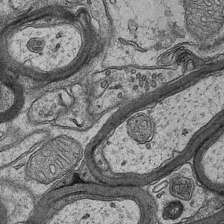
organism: Mouse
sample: CA1 Hippocampus